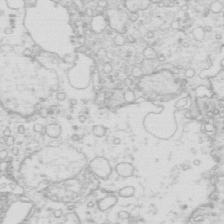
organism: Mouse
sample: Multiciliated cells